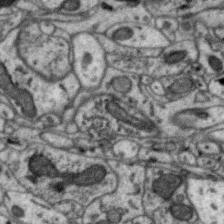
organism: Zebra finch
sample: Brain